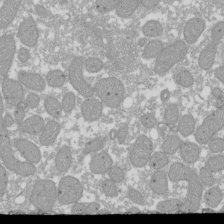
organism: Xenopus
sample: Cilia; centrioles in frog embryo cells